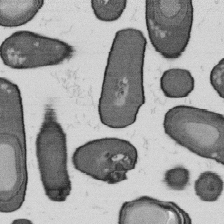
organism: B. subtilis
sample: Bacterial spore